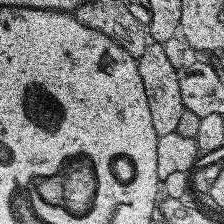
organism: Human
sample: Temporal Lobe